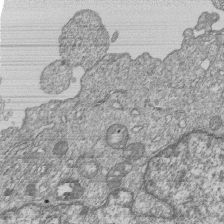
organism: Human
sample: MDA-MB-231 cells